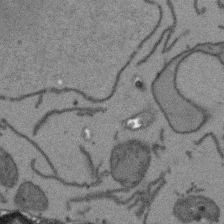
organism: Arabidopsis thaliana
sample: Root tip